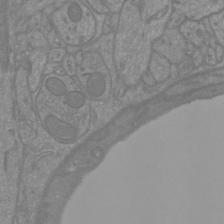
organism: Mouse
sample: Cortical neurons